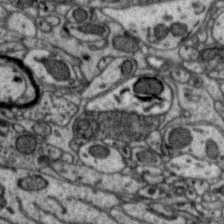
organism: Zebra finch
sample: Brain